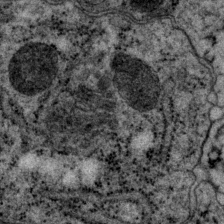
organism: P. pacificus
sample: Pharynx